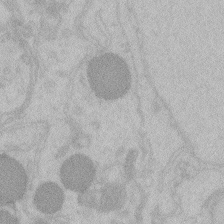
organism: Zebrafish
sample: Macrophage infected with Toxoplasma gondii